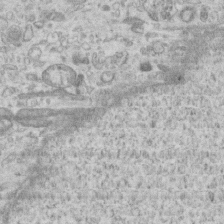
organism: Mouse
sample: Centriole in ependymal cells